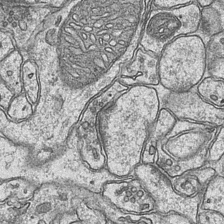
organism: Mouse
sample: CA1 Hippocampus